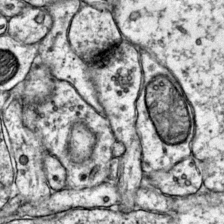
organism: Mouse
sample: Primary visual cortex